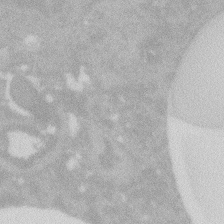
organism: Zebrafish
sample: Macrophage